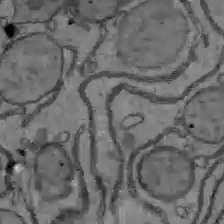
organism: C57BL Mouse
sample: Liver